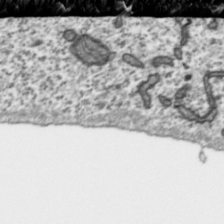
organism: Toxoplasma gondii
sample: Parasites in a vacuole inside a host cell